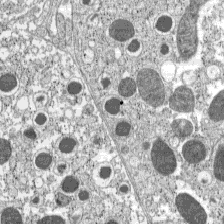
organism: C57BL Mouse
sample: Pancreatic islet